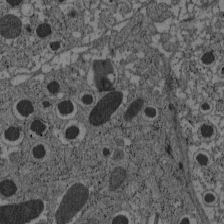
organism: C57BL Mouse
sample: Pancreatic islet